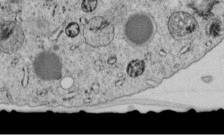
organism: C. elegans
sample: C. elegans embryo early stage